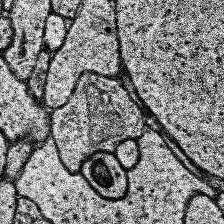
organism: Human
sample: Temporal Lobe